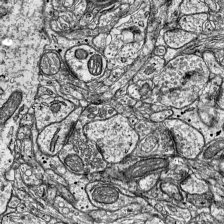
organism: Mouse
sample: Visual Cortex